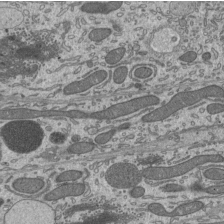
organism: Mouse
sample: Mouse epididymis efferent ductule cilia